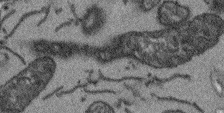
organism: Arabidopsis thaliana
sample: Root tip